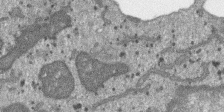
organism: Human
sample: Lung epithelial cells infected with SARS-CoV-2